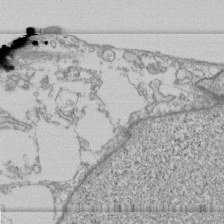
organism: Human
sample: Fibroblast cells